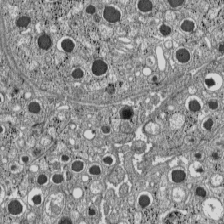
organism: C57BL Mouse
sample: Pancreatic islet